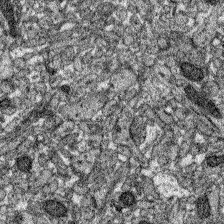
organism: Zebrafish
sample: Larval olfactory bulb